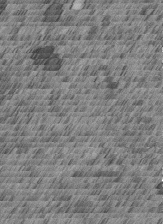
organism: C. elegans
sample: C. elegans embryo early stage